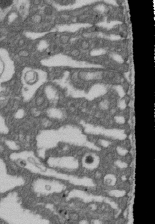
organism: Drosophila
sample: Nephrocyte